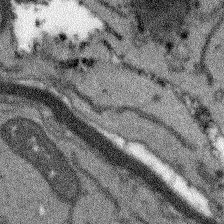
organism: Arabidopsis thaliana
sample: Root tip